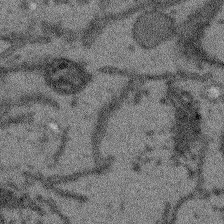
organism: Arabidopsis thaliana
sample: Root tip